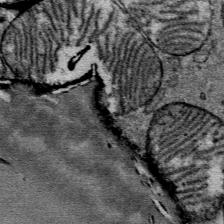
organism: Mouse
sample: Mouse Salivary gland